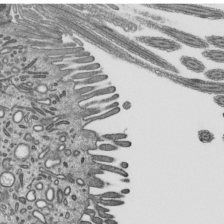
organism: Mouse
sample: Mouse epididymis efferent ductule cilia